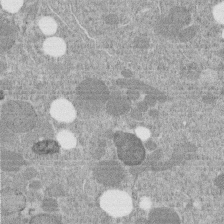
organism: C. elegans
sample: C. elegans embryo early stage